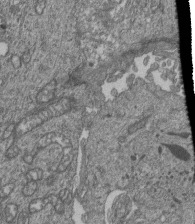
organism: Human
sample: Retinal organoid Rod and Cone cells